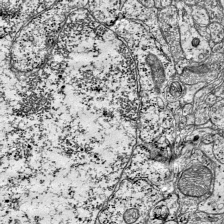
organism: Mouse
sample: Visual Cortex